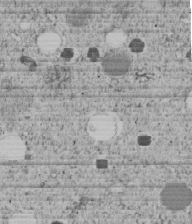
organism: C. elegans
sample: C. elegans embryo early stage